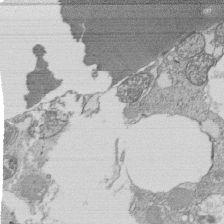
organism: Tetrahymena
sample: Cilia in tetrahymena